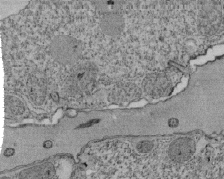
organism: Tetrahymena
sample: Cilia in tetrahymena